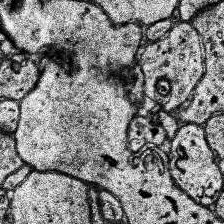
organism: Human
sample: Temporal Lobe